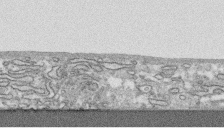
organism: Human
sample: CRL-1474